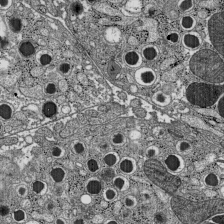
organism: C57BL Mouse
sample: Pancreatic islet